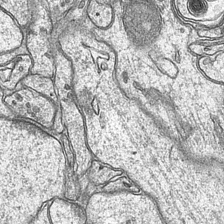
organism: Mouse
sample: CA1 Hippocampus